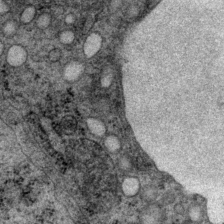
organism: P. pacificus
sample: Pharynx